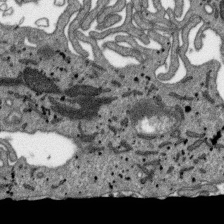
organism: Human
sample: Lung epithelial cells, uninfected (mock) control